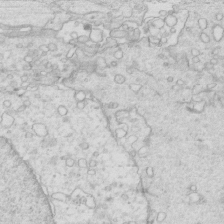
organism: Mouse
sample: Multiciliated cells